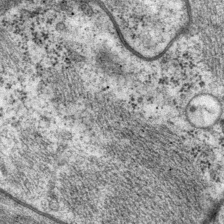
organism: P. pacificus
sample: Pharynx